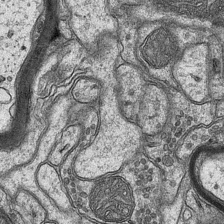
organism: Mouse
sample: CA1 Hippocampus